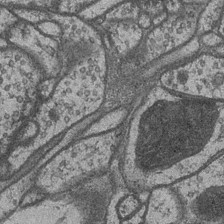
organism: Drosophila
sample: Optic medulla